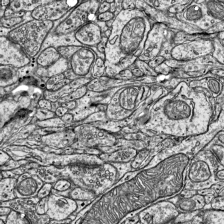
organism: Mouse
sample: Visual Cortex